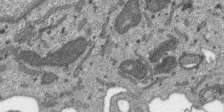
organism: Human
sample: Lung epithelial cells infected with SARS-CoV-2